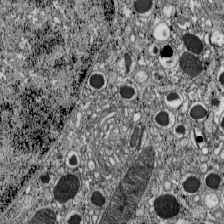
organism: C57BL Mouse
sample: Pancreatic islet